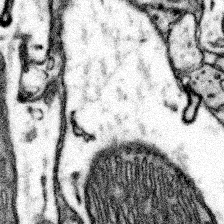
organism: Mouse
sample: Somatosensory cortex neuropil